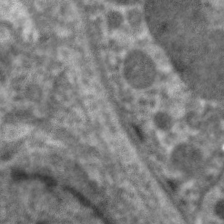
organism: C. elegans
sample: Pharynx